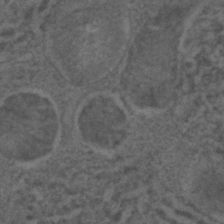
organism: C. elegans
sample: C. elegans embryo